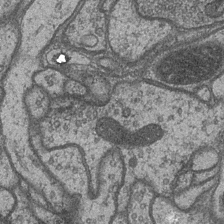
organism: Drosophila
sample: Optic medulla